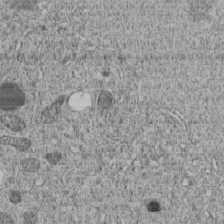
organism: C. elegans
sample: C. elegans embryo early stage